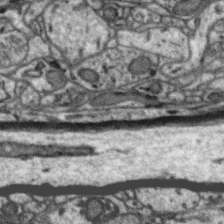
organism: Zebra finch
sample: Brain